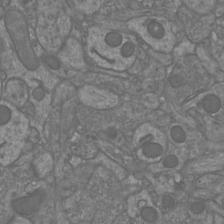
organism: Mouse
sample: Cortical neurons